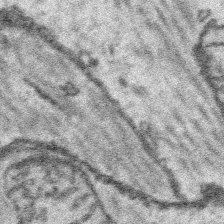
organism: Platynereis dumerilii